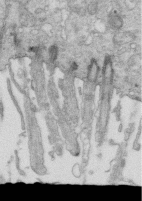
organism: Mouse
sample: Multiciliated cells